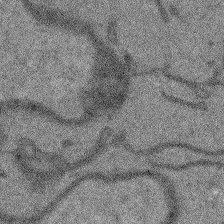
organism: Arabidopsis thaliana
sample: Root tip